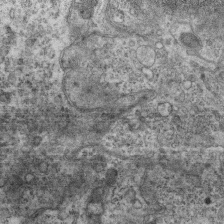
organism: Mouse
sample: Centriole in ependymal cells